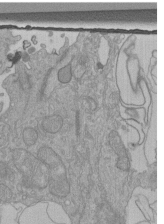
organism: Human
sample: Retinal organoid Rod and Cone cells